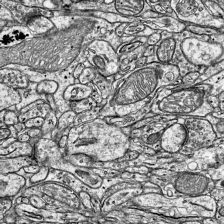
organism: Mouse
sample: Visual Cortex